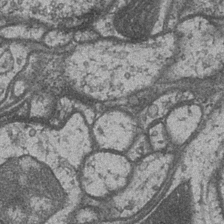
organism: Drosophila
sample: Optic medulla